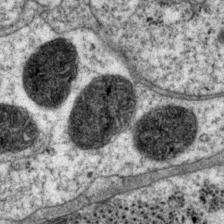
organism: P. pacificus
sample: Pharynx